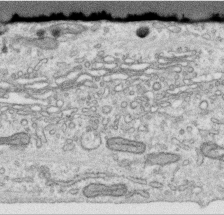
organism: Human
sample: Centriole in RPE cells